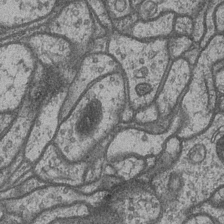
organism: Drosophila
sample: Optic medulla